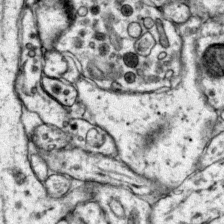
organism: Mouse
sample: Primary visual cortex